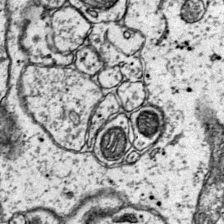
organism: Mouse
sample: Primary visual cortex